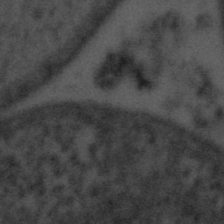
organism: Tuwongella immobilis